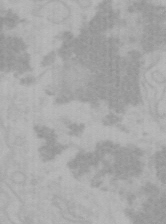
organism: Mouse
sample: Choroid plexus